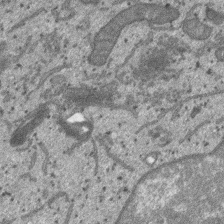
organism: Human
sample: Lung epithelial cells infected with SARS-CoV-2